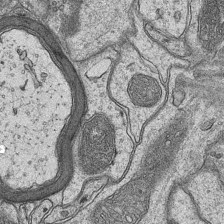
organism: Mouse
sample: CA1 Hippocampus